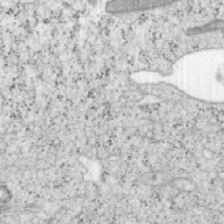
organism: Mouse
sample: OT-I killer T cells with ID8 ovarian cancer cells